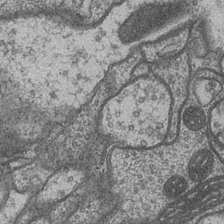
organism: Drosophila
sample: Optic medulla